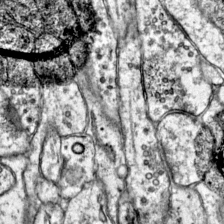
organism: Mouse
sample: Primary visual cortex